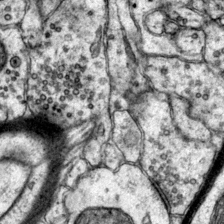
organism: Mouse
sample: Primary visual cortex